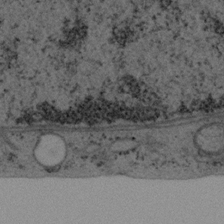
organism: Human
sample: HeLa cells